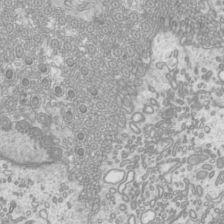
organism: Mouse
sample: Cilia; mouse epididymis